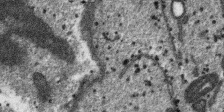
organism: Human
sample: Lung epithelial cells infected with SARS-CoV-2